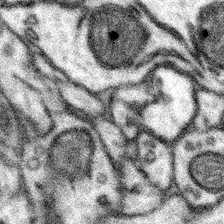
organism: Mouse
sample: Somatosensory cortex neuropil